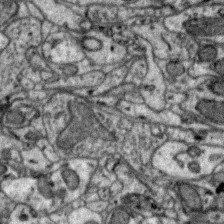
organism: Zebra finch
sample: Brain